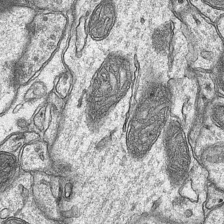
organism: Mouse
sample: CA1 Hippocampus